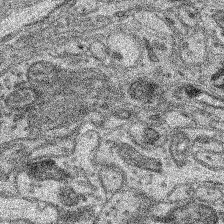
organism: Mouse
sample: Retina